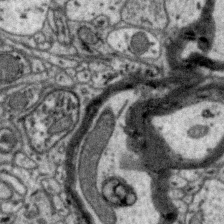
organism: Zebra finch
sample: Brain